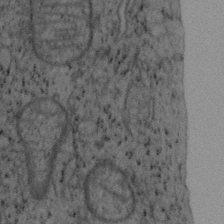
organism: Human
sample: HeLa cells